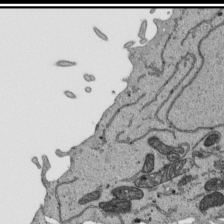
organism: Human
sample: Mitochondria in HCT116 cells